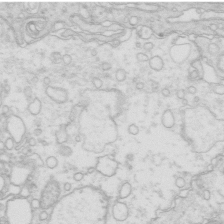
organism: Mouse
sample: Multiciliated cells